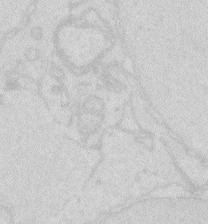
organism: Zebrafish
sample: Macrophage